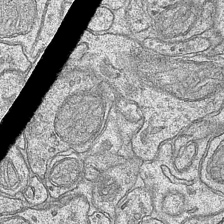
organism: Mouse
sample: CA1 Hippocampus